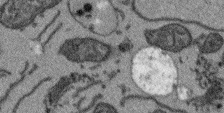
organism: Arabidopsis thaliana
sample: Root tip